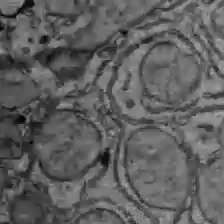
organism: C57BL Mouse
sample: Liver